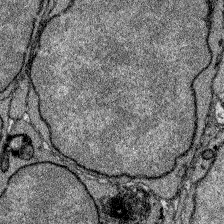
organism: Zebrafish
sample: Larval olfactory bulb